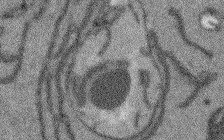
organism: Arabidopsis thaliana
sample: Root tip